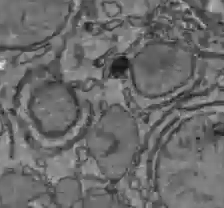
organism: C57BL Mouse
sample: Liver